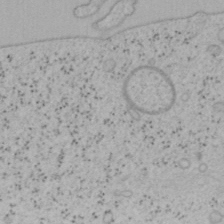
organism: Human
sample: HeLa cells